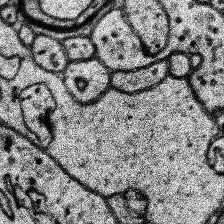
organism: Human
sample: Temporal Lobe